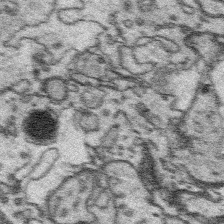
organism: Platynereis dumerilii